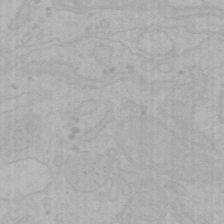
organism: Mouse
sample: Choroid plexus